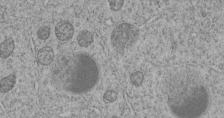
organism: C. elegans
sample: C. elegans embryo early stage